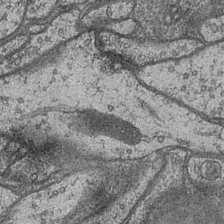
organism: Drosophila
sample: Optic medulla